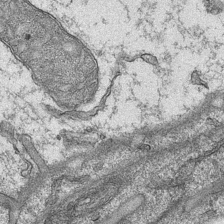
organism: Mouse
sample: CA1 Hippocampus